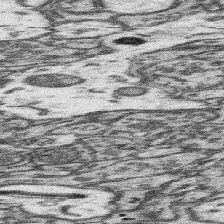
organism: Mouse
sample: Somatosensory cortex neuropil